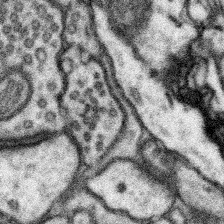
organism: Mouse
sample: Somatosensory cortex neuropil